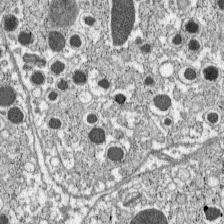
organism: C57BL Mouse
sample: Pancreatic islet